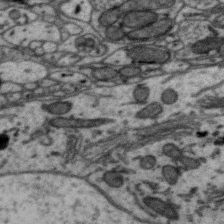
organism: Zebra finch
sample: Brain